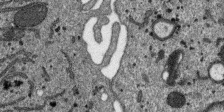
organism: Human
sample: Lung epithelial cells infected with SARS-CoV-2